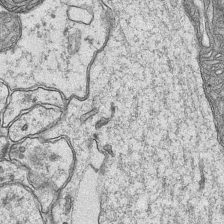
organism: Mouse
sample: CA1 Hippocampus